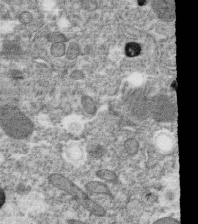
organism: C. elegans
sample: C. elegans oocyte; sperm cells